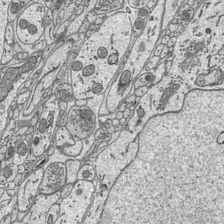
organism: Mouse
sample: Suprachiasmatic nucleus